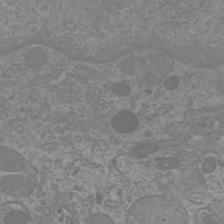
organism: Mouse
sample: Cortical neurons